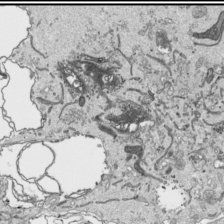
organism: Human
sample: Mitochondria in HCT116 cells